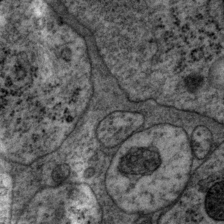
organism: P. pacificus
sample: Pharynx